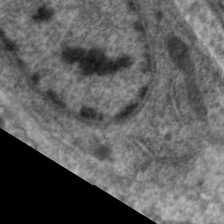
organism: C. elegans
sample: Pharynx